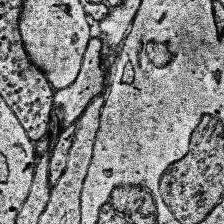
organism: Human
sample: Temporal Lobe